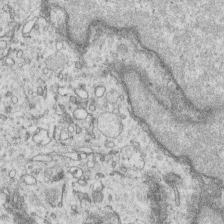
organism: Human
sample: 1205lu cells